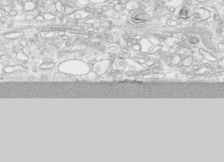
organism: Human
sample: CRL-1474